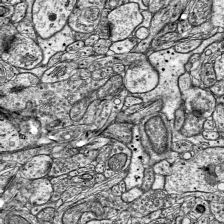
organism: Mouse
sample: Visual Cortex